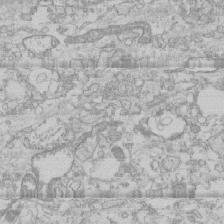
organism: Human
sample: CRL-1474